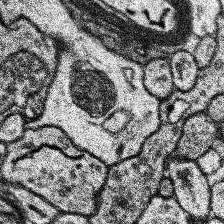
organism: Human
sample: Temporal Lobe